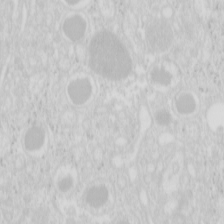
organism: Mouse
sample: Pancreas